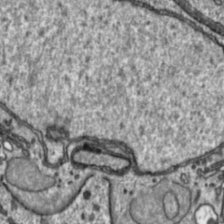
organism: Toxoplasma gondii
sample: Parasites in a vacuole inside a host cell